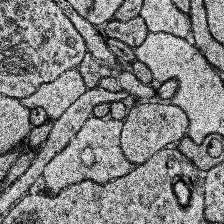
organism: Human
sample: Temporal Lobe